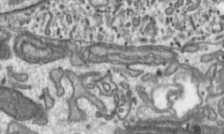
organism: Toxoplasma gondii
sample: Parasites in a vacuole inside a host cell